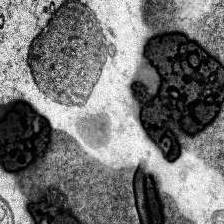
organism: Human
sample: Temporal Lobe